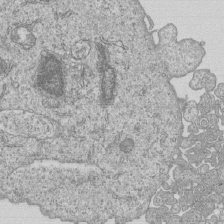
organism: Human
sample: MDA-MB-231 cells